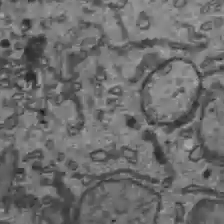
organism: C57BL Mouse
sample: Liver